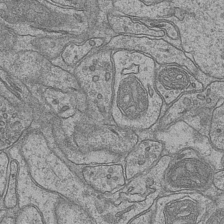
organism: Mouse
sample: CA1 Hippocampus